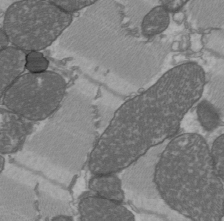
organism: C57BL Mouse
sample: Heart